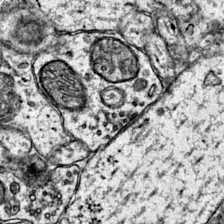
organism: Mouse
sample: Primary visual cortex